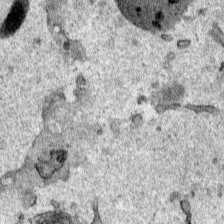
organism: Human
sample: Mitochondria in HCT116 cells